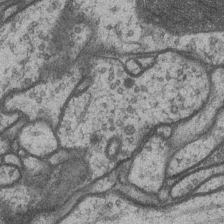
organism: Drosophila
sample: Optic medulla